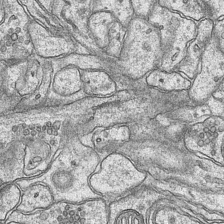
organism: Mouse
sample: CA1 Hippocampus